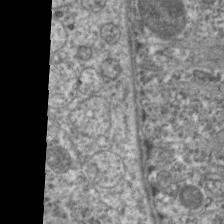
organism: C. elegans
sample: Pharynx